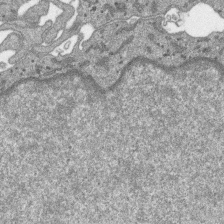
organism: Human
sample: Lung epithelial cells infected with SARS-CoV-2